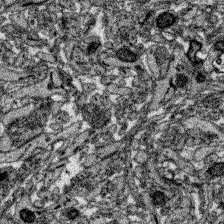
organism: Zebrafish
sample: Larval olfactory bulb